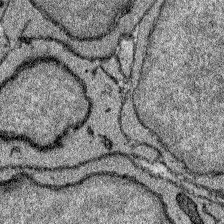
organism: Zebrafish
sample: Larval olfactory bulb